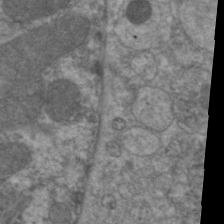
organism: C. elegans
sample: Pharynx